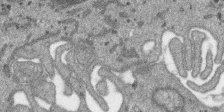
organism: Human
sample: Lung epithelial cells infected with SARS-CoV-2